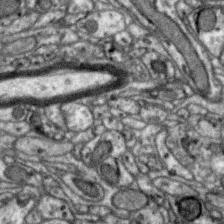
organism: Zebra finch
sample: Brain